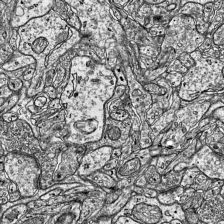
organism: Mouse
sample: Visual Cortex